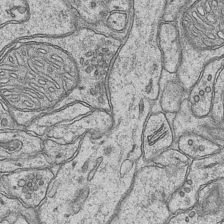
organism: Mouse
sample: CA1 Hippocampus